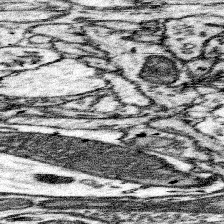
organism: Mouse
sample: Somatosensory cortex neuropil